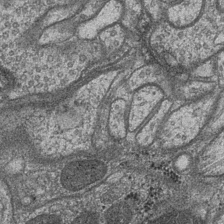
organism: Drosophila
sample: Optic medulla